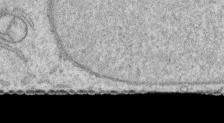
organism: Human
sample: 1205lu cells